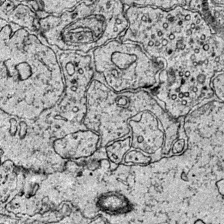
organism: Mouse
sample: Primary visual cortex